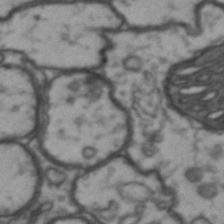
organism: Drosophila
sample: Brain